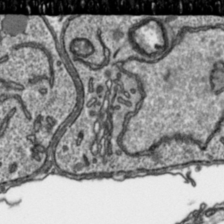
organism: Toxoplasma gondii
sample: Parasites in a vacuole inside a host cell